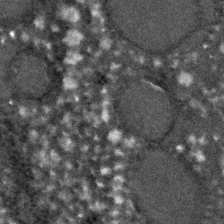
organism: C. elegans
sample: C. elegans embryo